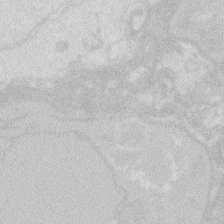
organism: Zebrafish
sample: Macrophage